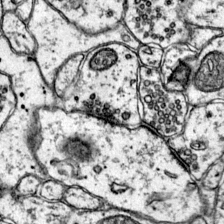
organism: Mouse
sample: Primary visual cortex